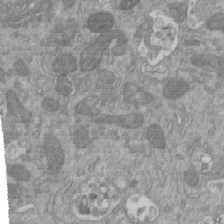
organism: Mouse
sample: ED-1 cell nuclei; centrioles